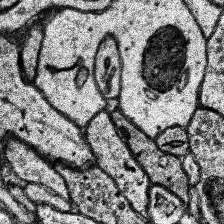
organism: Human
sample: Temporal Lobe